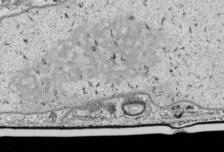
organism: Human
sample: Mitochondria in HCT116 cells